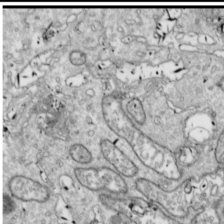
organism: Drosophila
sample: Cell division; meiosis; drosophila spermatocytes